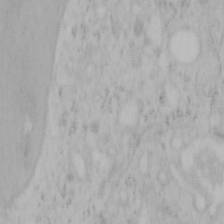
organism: Mouse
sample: OT-I killer T cells with ID8 ovarian cancer cells